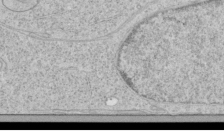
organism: Human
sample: Mitochondria in HCT116 cells